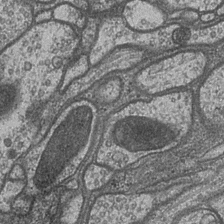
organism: Drosophila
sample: Optic medulla